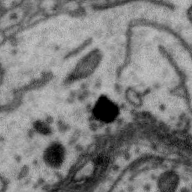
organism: Zebra finch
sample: Brain